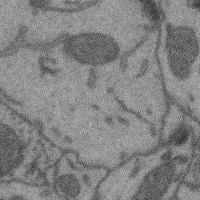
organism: Mouse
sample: Cerebral cortex